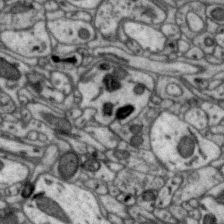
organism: Zebra finch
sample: Brain